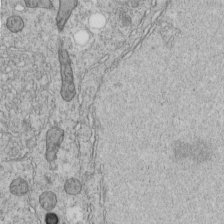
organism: C. elegans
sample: C. elegans embryo early stage